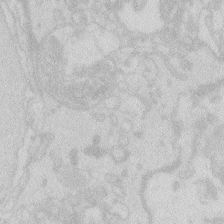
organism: Zebrafish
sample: Macrophage